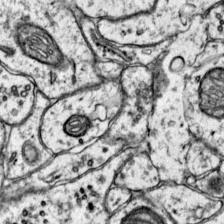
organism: Mouse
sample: Primary visual cortex